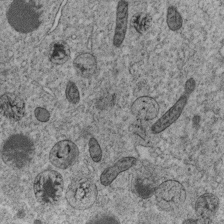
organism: C. elegans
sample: C. elegans embryo early stage